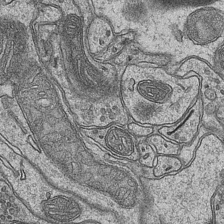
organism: Mouse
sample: CA1 Hippocampus